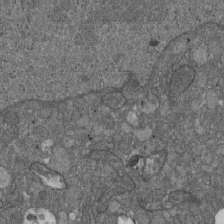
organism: Drosophila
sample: Nephrocyte